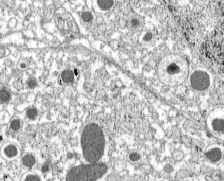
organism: C57BL Mouse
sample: Pancreatic islet